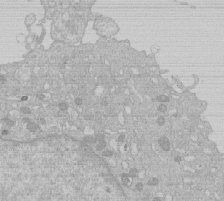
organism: Human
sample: Macrophage cells